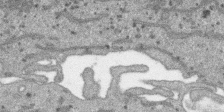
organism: Human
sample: Lung epithelial cells infected with SARS-CoV-2